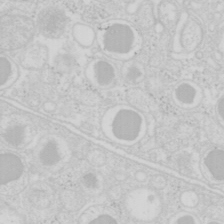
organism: Mouse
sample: Pancreas